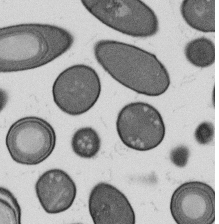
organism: B. subtilis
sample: Bacterial spore